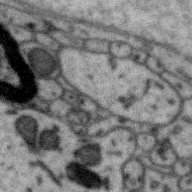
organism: Zebra finch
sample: Brain